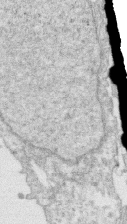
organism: Human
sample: HeLa cell HIV synapse